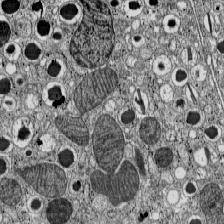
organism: C57BL Mouse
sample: Pancreatic islet